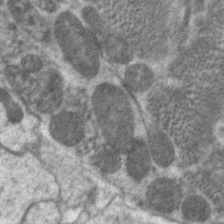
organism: C. elegans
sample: Pharynx